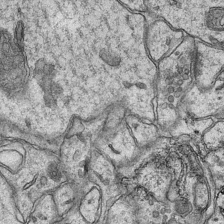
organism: Mouse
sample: CA1 Hippocampus